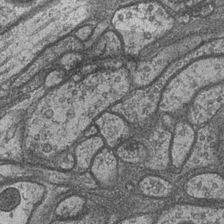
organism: Drosophila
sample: Optic medulla